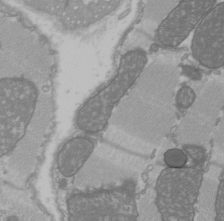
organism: C57BL Mouse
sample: Heart